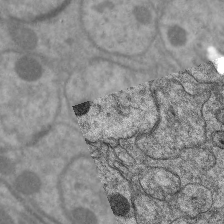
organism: C. elegans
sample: Pharynx